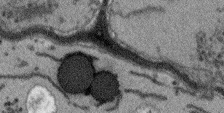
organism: Arabidopsis thaliana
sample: Root tip